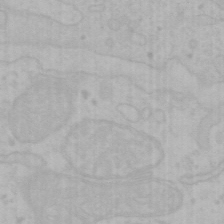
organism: Mouse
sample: Choroid plexus